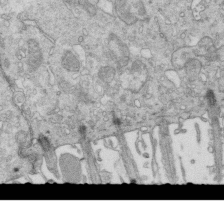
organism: Mouse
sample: Multiciliated cells